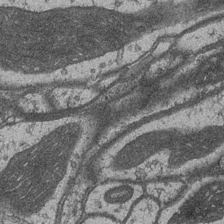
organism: Drosophila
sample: Optic medulla